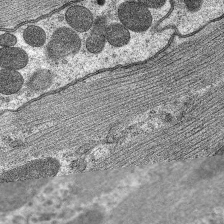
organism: C. elegans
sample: Pharynx